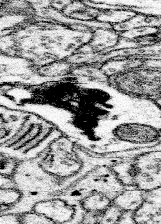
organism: Mouse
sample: Somatosensory cortex neuropil